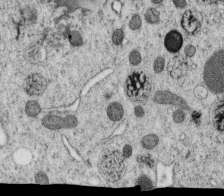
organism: C. elegans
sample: C. elegans oocyte; sperm cells